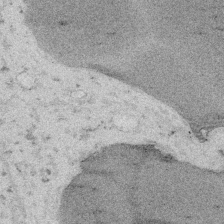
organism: Embia sp.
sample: Silk gland